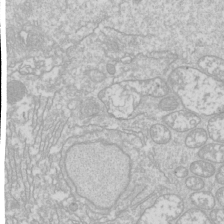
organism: Drosophila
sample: Cell division; meiosis; drosophila spermatocytes